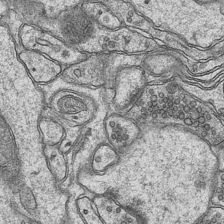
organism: Mouse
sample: CA1 Hippocampus